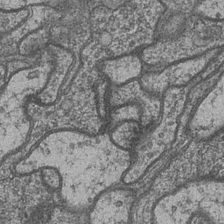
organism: Drosophila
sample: Optic medulla